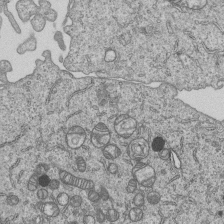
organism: Human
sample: MDA-MB-231 cells